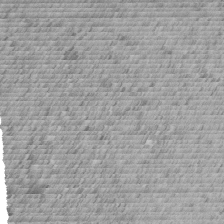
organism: C. elegans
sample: C. elegans embryo early stage